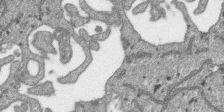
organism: Human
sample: Lung epithelial cells infected with SARS-CoV-2